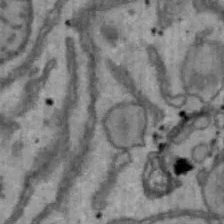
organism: Mouse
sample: Liver